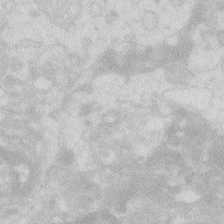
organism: Zebrafish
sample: Macrophage